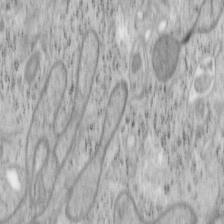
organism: Human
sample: HeLa cells